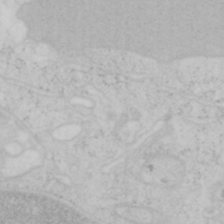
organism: Mouse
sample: OT-I killer T cells with ID8 ovarian cancer cells